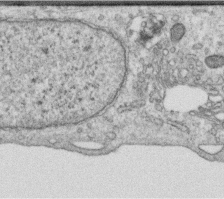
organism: Human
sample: Centriole in RPE cells